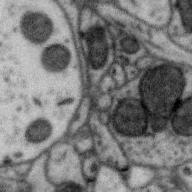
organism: Zebra finch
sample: Brain